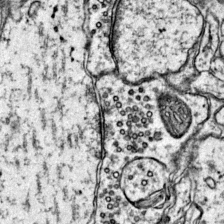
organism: Mouse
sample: Primary visual cortex